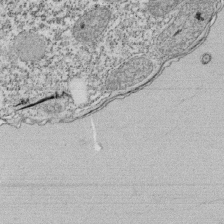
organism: Tetrahymena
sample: Cilia in tetrahymena